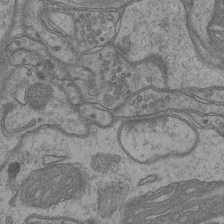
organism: Mouse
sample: CA1 Hippocampus